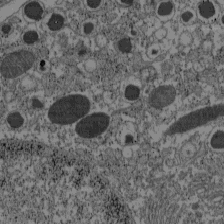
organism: C57BL Mouse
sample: Pancreatic islet